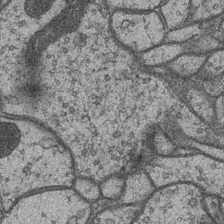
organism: Drosophila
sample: Optic medulla